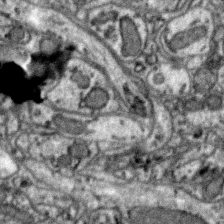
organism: Zebra finch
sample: Brain